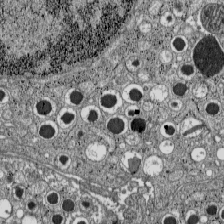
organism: C57BL Mouse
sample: Pancreatic islet